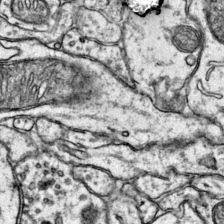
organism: Mouse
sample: Primary visual cortex